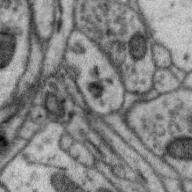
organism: Zebra finch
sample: Brain